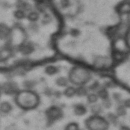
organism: Drosophila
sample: Brain